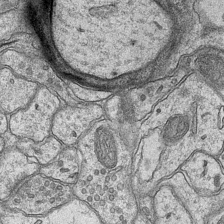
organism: Mouse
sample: CA1 Hippocampus